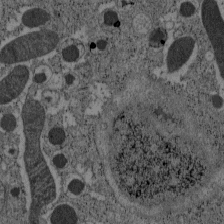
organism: C57BL Mouse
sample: Pancreatic islet